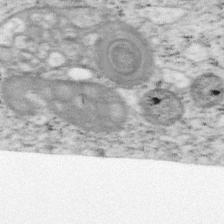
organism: Mouse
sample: OT-I killer T cells with ID8 ovarian cancer cells